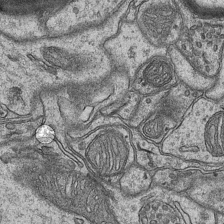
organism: Mouse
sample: CA1 Hippocampus